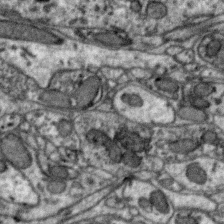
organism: Zebra finch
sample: Brain